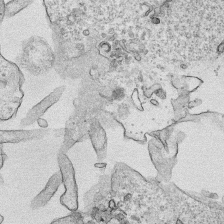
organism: Human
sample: Mitochondria in HCT116 cells